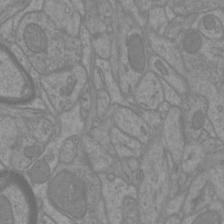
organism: Mouse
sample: Cortical neurons